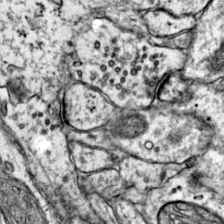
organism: Mouse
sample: Primary visual cortex